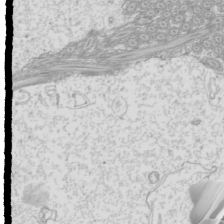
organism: Mouse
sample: Cilia; mouse epididymis